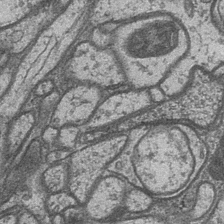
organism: Drosophila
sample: Optic medulla